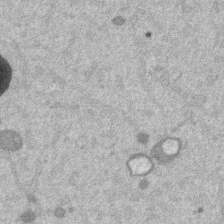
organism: Mouse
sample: Dividing mouse embryo 1 cell stage